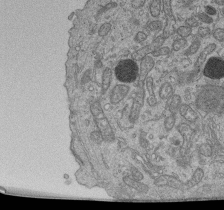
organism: Human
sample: Retinal organoid Rod and Cone cells